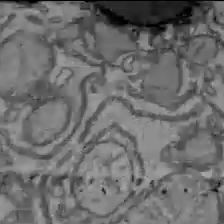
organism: C57BL Mouse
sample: Liver